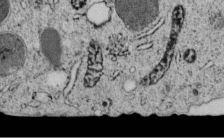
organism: C. elegans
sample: C. elegans embryo early stage